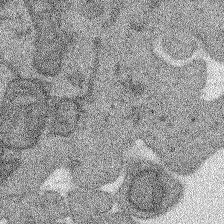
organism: Human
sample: HeLa cells